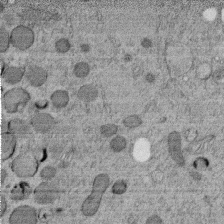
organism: C. elegans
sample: C. elegans embryo early stage